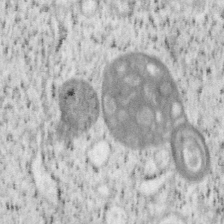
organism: Mouse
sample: OT-I killer T cells with ID8 ovarian cancer cells